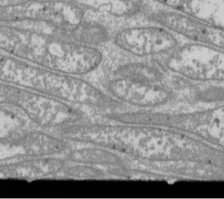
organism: Drosophila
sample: Cell division; meiosis; drosophila spermatocytes